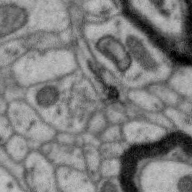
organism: Zebra finch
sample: Brain